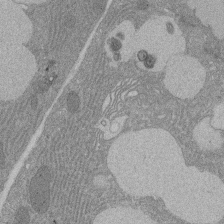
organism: Rat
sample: Salivary granule